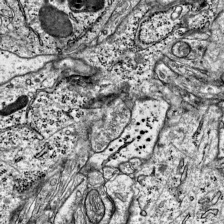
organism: Mouse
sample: Visual Cortex